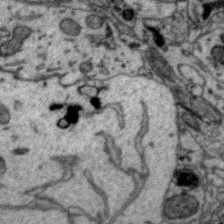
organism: Zebra finch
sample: Brain